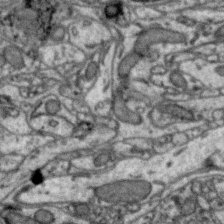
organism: Zebra finch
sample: Brain